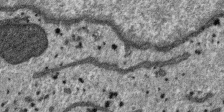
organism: Human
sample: Lung epithelial cells, uninfected (mock) control